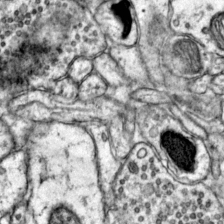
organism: Mouse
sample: Primary visual cortex